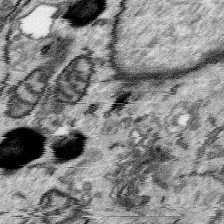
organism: Human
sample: HeLa cells